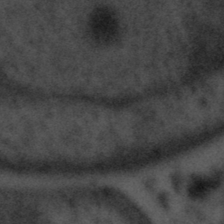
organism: Tuwongella immobilis